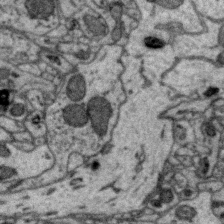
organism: Zebra finch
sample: Brain